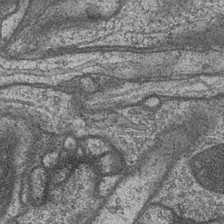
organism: Drosophila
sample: Optic medulla